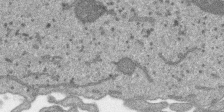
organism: Human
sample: Lung epithelial cells infected with SARS-CoV-2